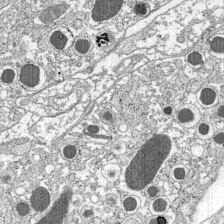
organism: C57BL Mouse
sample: Pancreatic islet